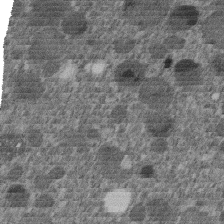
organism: C. elegans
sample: C. elegans embryo early stage